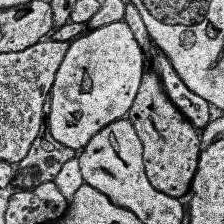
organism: Human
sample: Temporal Lobe